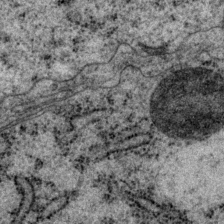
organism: P. pacificus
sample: Pharynx